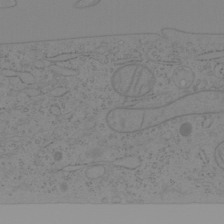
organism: Human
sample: HeLa cells